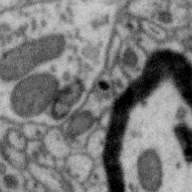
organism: Zebra finch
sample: Brain